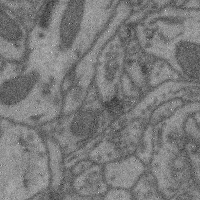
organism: Mouse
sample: Cerebral cortex